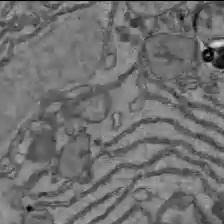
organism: C57BL Mouse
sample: Liver